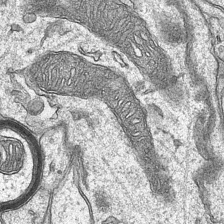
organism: Mouse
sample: CA1 Hippocampus